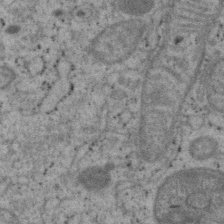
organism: Human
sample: HeLa cells